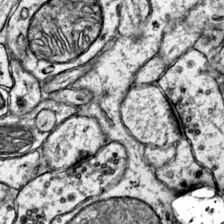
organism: Mouse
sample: Primary visual cortex